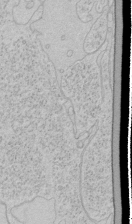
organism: Human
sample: Mitochondria in HCT116 cells